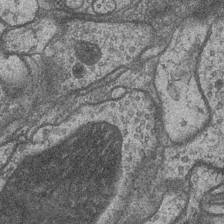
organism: Drosophila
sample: Optic medulla